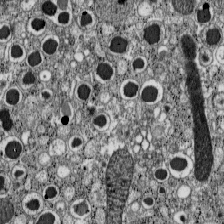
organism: C57BL Mouse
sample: Pancreatic islet